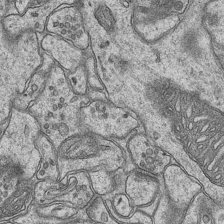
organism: Mouse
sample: CA1 Hippocampus